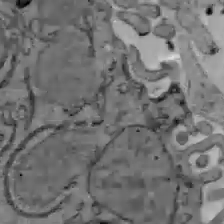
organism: C57BL Mouse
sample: Liver